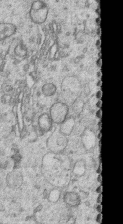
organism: Human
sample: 1205lu cells